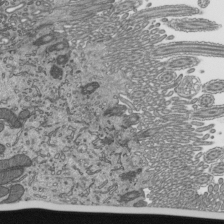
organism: Mouse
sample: Mouse epididymis efferent ductule cilia